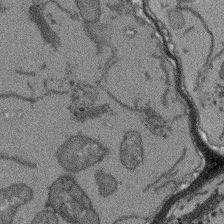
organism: Arabidopsis thaliana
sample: Root tip